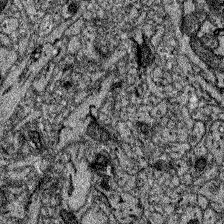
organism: Zebrafish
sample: Larval olfactory bulb